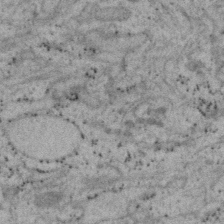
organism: Human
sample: HeLa cells